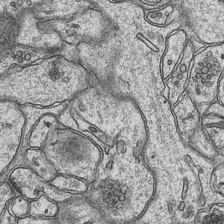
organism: Mouse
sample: CA1 Hippocampus